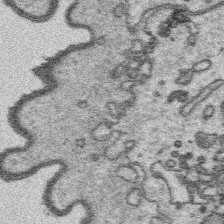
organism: Platynereis dumerilii